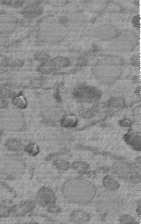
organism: C. elegans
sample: C. elegans embryo early stage